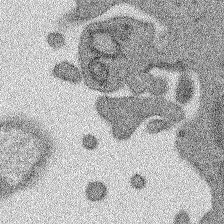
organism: Human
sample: HeLa cells